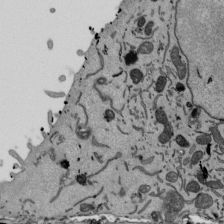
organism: Mouse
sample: ED-1 cell nuclei; centrioles